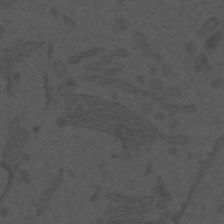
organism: Mouse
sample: Suprachiasmatic nucleus